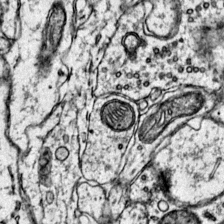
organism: Mouse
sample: Primary visual cortex